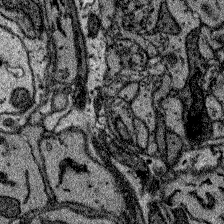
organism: Zebrafish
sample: Larval olfactory bulb